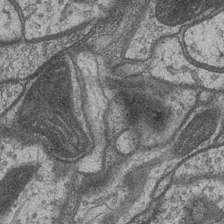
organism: Drosophila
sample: Optic medulla